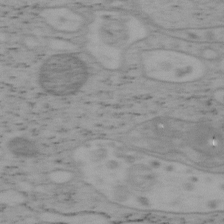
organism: Mouse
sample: OT-I killer T cells with ID8 ovarian cancer cells